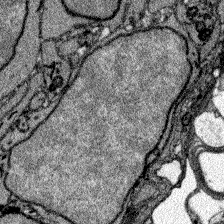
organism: Zebrafish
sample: Larval olfactory bulb